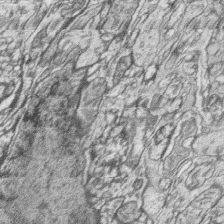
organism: Zebrafish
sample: synaptic ribbons in rod cells and cone cells